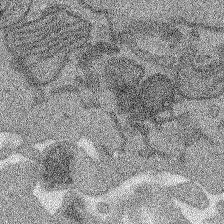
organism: Human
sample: HeLa cells